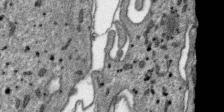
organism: Human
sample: Lung epithelial cells, uninfected (mock) control